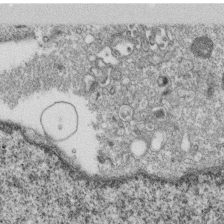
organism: African green monkey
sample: Vero E6 cells infected with SARS-CoV-2